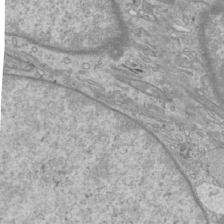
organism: Mouse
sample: Cilia; mouse epididymis